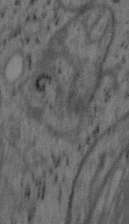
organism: Human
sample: HeLa cells